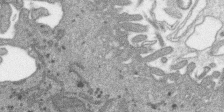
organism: Human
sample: Lung epithelial cells infected with SARS-CoV-2